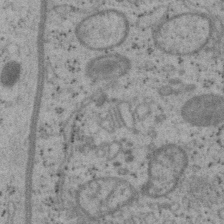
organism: Human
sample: HeLa cells